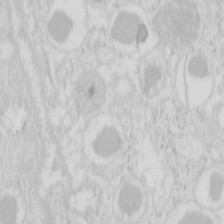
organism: Mouse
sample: Pancreas